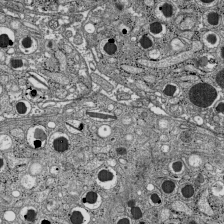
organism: C57BL Mouse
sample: Pancreatic islet